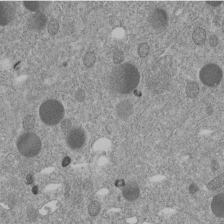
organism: C. elegans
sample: C. elegans embryo early stage